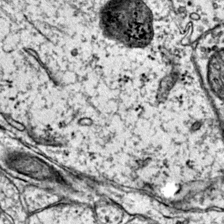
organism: Mouse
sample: Primary visual cortex